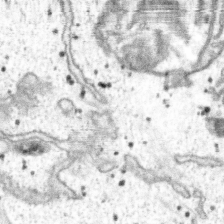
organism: Human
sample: HeLa cells